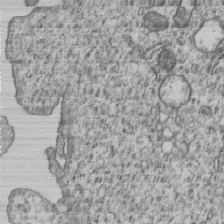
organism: Human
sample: MDA-MB-231 cells